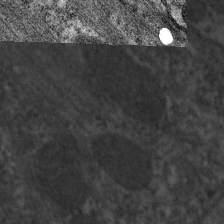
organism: C. elegans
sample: Pharynx